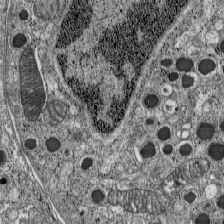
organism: C57BL Mouse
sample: Pancreatic islet